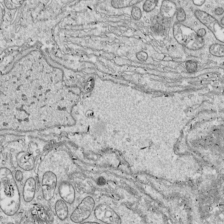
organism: Drosophila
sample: Cell division; meiosis; drosophila spermatocytes